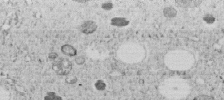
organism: C. elegans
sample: C. elegans embryo early stage